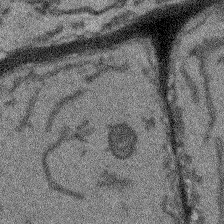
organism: Arabidopsis thaliana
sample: Root tip